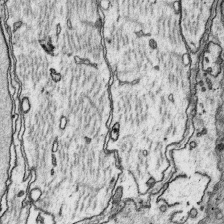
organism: Platynereis dumerilii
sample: Parapodia